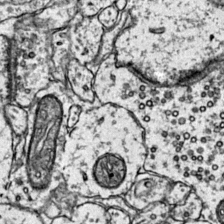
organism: Mouse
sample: Primary visual cortex